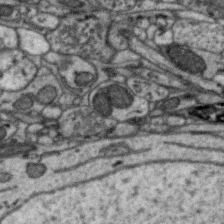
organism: Zebra finch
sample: Brain